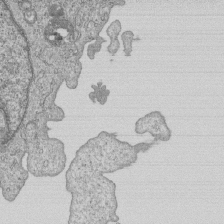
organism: Human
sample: MDA-MB-231 cells